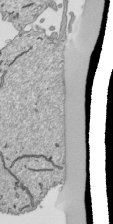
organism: Human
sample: Mitochondria in HCT116 cells